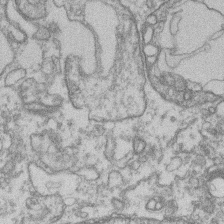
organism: Mouse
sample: T cell stromal cell synapse